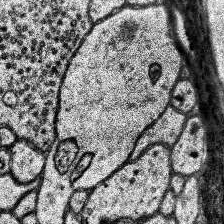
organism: Human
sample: Temporal Lobe